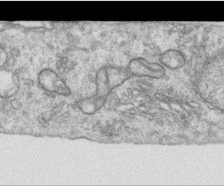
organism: Human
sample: Centriole in RPE cells